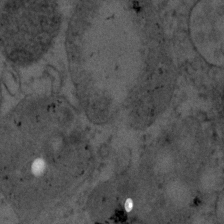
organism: Human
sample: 1205lu cells